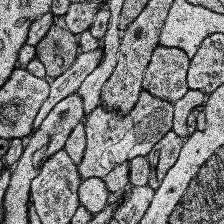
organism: Human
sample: Temporal Lobe